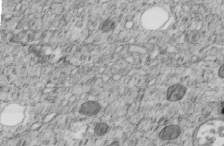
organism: C. elegans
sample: C. elegans embryo early stage